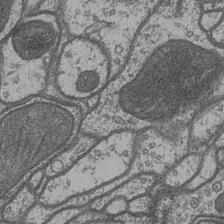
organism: Drosophila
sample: Optic medulla